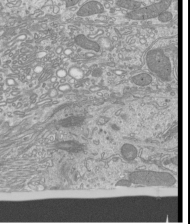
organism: Mouse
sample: Cilia; mouse epididymis